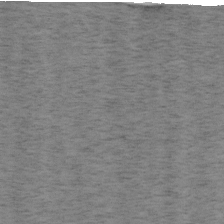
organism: Mouse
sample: OT-I killer T cells with ID8 ovarian cancer cells